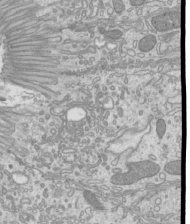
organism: Mouse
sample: Cilia; mouse epididymis